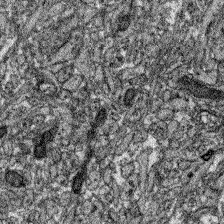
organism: Zebrafish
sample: Larval olfactory bulb